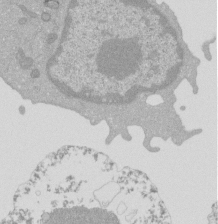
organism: Mouse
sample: Activated Pmel transgenic CD8+ T Cells